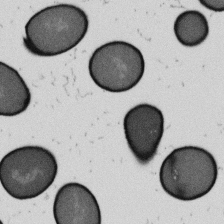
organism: B. subtilis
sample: Bacterial spore